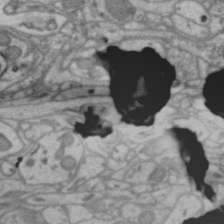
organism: Zebra finch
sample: Brain